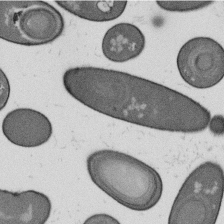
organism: B. subtilis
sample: Bacterial spore